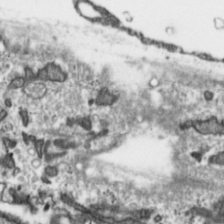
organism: Toxoplasma gondii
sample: Parasites in a vacuole inside a host cell